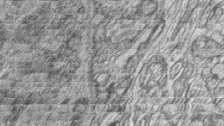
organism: Zebrafish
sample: synaptic ribbons in rod cells and cone cells